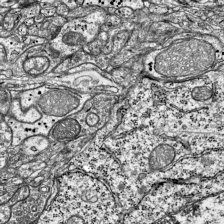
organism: Mouse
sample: Visual Cortex